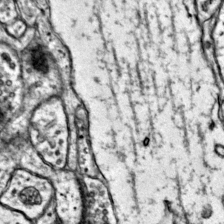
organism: Mouse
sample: Primary visual cortex